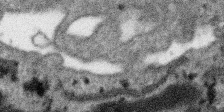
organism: Human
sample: Lung epithelial cells infected with SARS-CoV-2